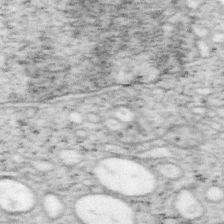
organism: Mouse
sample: OT-I killer T cells with ID8 ovarian cancer cells